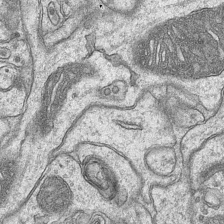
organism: Mouse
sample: CA1 Hippocampus